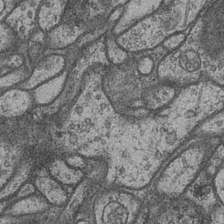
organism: Drosophila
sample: Optic medulla